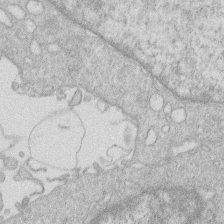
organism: Human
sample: Macrophage cells